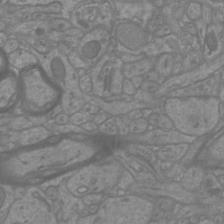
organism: Mouse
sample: Cortical neurons